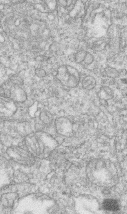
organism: Human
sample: HeLa cell HIV synapse